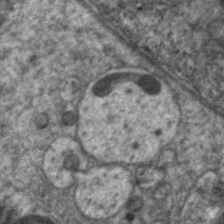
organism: C. elegans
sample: Pharynx